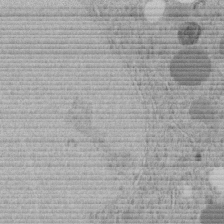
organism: C. elegans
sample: C. elegans embryo early stage